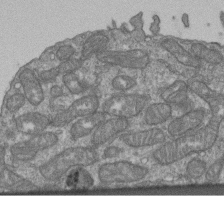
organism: Human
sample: Retinal organoid Rod and Cone cells